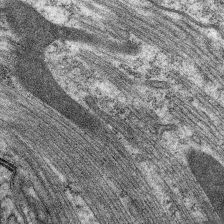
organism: C. elegans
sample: Pharynx